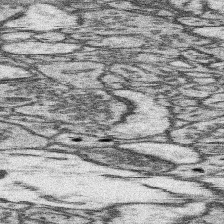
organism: Mouse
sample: Somatosensory cortex neuropil